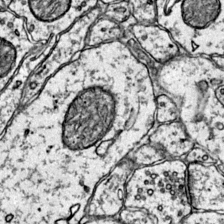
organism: Mouse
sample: Primary visual cortex